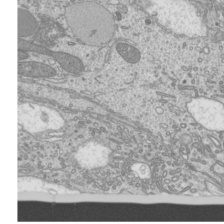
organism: Mouse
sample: Cilia; mouse epididymis